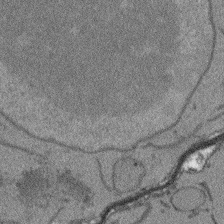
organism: Arabidopsis thaliana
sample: Root tip